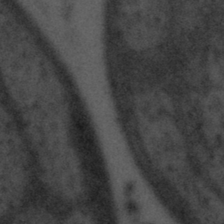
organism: Tuwongella immobilis